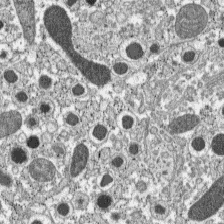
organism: C57BL Mouse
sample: Pancreatic islet